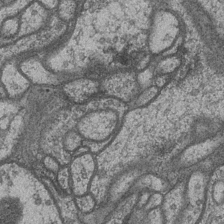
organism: Drosophila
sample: Optic medulla